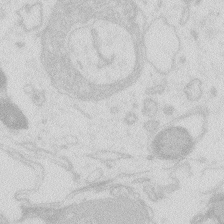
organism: Zebrafish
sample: Macrophage